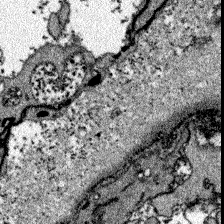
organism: Zebrafish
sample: Larval olfactory bulb